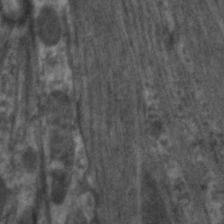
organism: C. elegans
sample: Pharynx